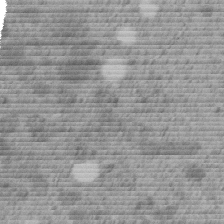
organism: C. elegans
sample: C. elegans embryo early stage